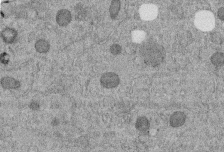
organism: C. elegans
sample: C. elegans embryo early stage